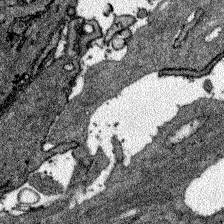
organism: Zebrafish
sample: Larval olfactory bulb